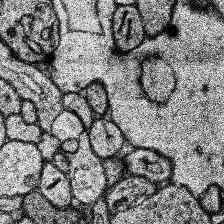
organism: Human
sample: Temporal Lobe